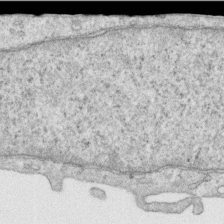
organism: Human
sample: Centriole in RPE cells